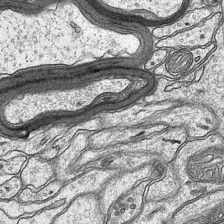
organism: Mouse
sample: CA1 Hippocampus